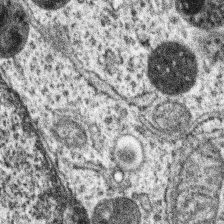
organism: Human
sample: HeLa cells